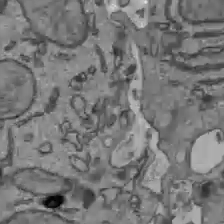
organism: C57BL Mouse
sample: Liver